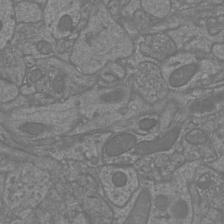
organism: Mouse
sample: Cortical neurons